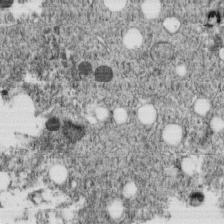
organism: C. elegans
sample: C. elegans embryo early stage